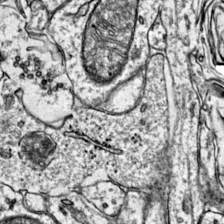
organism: Mouse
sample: Primary visual cortex